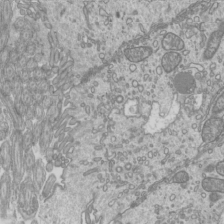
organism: Mouse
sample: Cilia; mouse epididymis